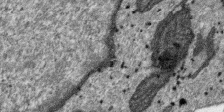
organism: Human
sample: Lung epithelial cells, uninfected (mock) control